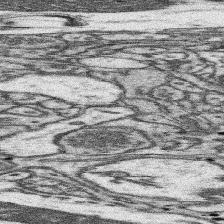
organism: Mouse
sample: Somatosensory cortex neuropil